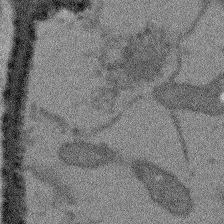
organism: Arabidopsis thaliana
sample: Root tip